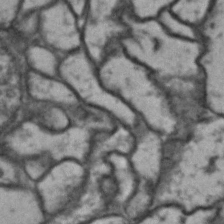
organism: Drosophila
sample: Brain